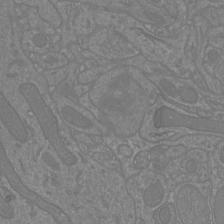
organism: Mouse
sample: Cortical neurons